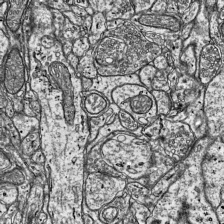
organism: Mouse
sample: Visual Cortex